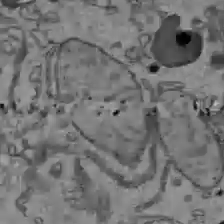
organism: C57BL Mouse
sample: Liver